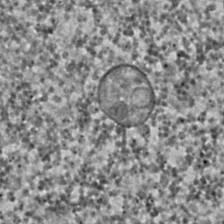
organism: C. elegans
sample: C. elegans embryo